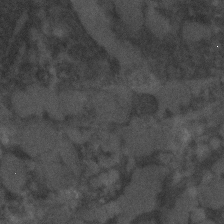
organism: C. elegans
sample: C. elegans embryo